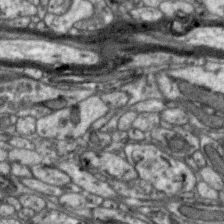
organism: Zebra finch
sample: Brain